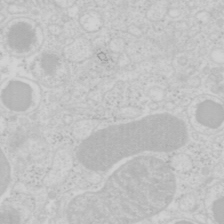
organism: Mouse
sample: Pancreas